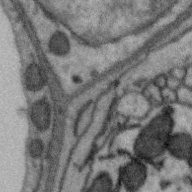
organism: Zebra finch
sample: Brain